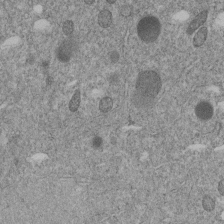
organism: C. elegans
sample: C. elegans embryo early stage